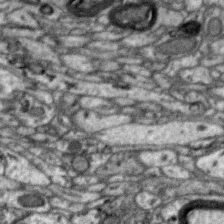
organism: Zebra finch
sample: Brain